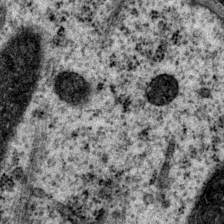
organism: P. pacificus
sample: Pharynx